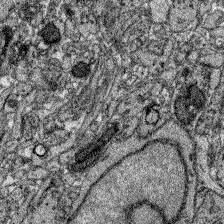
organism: Zebrafish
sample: Larval olfactory bulb